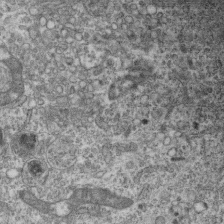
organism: Mouse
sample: Centriole in ependymal cells